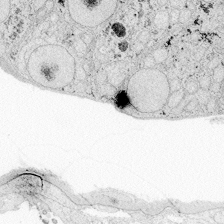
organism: Zebrafish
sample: Whole-Brain